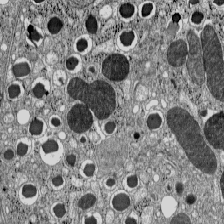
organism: C57BL Mouse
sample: Pancreatic islet